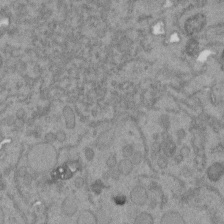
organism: C. elegans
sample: C. elegans embryo early stage